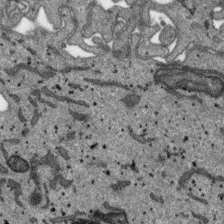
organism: Human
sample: Lung epithelial cells, uninfected (mock) control